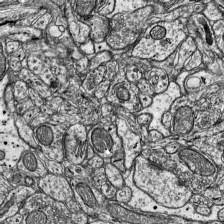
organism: Mouse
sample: Visual Cortex